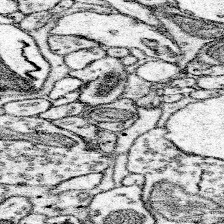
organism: Mouse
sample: Somatosensory cortex neuropil